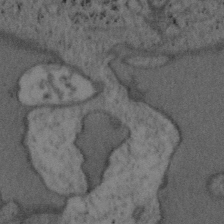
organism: Human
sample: HeLa cells